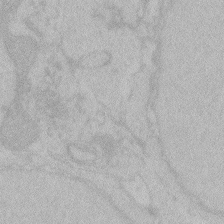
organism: Zebrafish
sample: Macrophage infected with Toxoplasma gondii